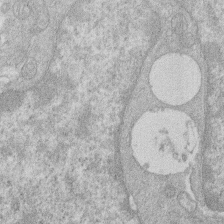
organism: Human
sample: Macrophage cells